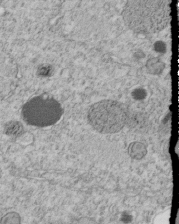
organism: C. elegans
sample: C. elegans embryo early stage